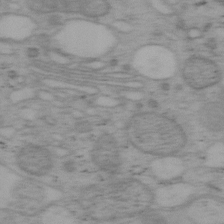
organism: Mouse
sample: OT-I killer T cells with ID8 ovarian cancer cells